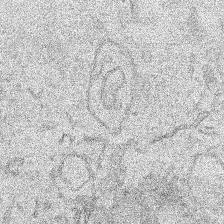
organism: Human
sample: Mitochondria in HCT116 cells